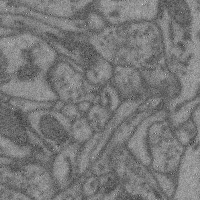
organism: Mouse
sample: Cerebral cortex